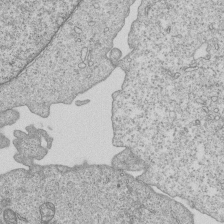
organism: Human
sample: MDA-MB-231 cells